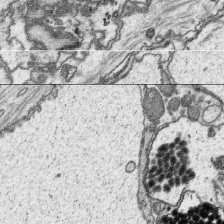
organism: Platynereis dumerilii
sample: Parapodia